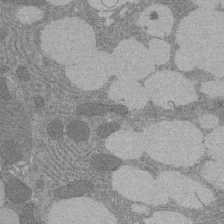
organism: Rat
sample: Salivary granule